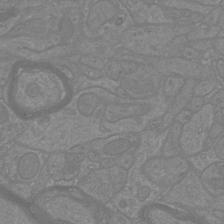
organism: Mouse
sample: Cortical neurons